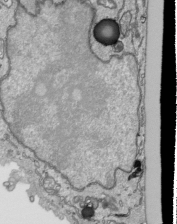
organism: Human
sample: Mitochondria in HCT116 cells